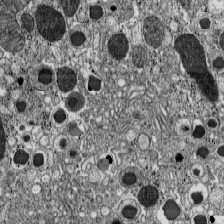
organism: C57BL Mouse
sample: Pancreatic islet